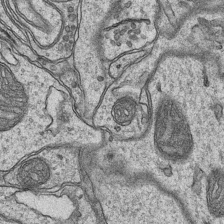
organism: Mouse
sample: CA1 Hippocampus